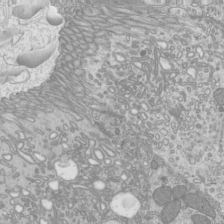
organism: Mouse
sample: Cilia; mouse epididymis